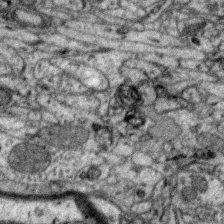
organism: Zebra finch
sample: Brain